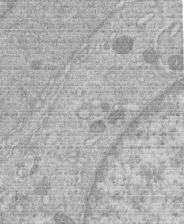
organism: Human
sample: Macrophage cells